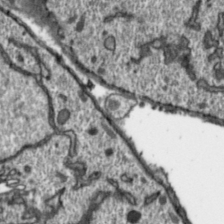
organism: Toxoplasma gondii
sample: Parasites in a vacuole inside a host cell